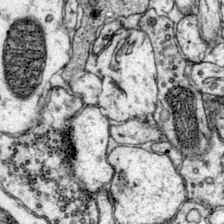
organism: Mouse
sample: Primary visual cortex